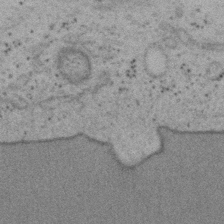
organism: Human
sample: HeLa cells